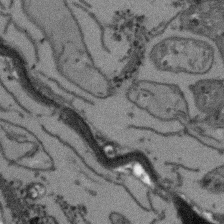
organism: Arabidopsis thaliana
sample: Root tip